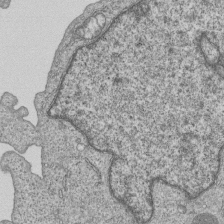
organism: Human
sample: MDA-MB-231 cells